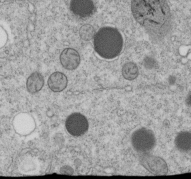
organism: C. elegans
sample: C. elegans embryo early stage